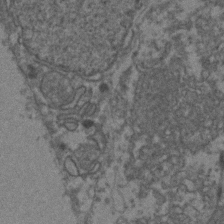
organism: Zebrafish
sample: Zebrafish embryo